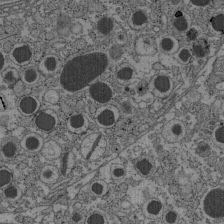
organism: C57BL Mouse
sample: Pancreatic islet